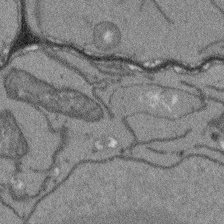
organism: Arabidopsis thaliana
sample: Root tip